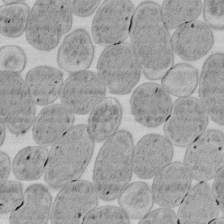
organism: E. coli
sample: Bacterial nucleoid